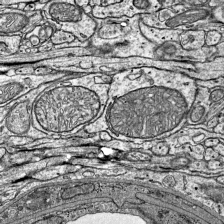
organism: Mouse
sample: Visual Cortex